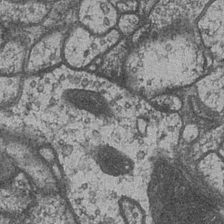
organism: Drosophila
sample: Optic medulla